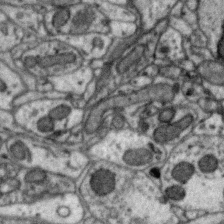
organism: Zebra finch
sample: Brain